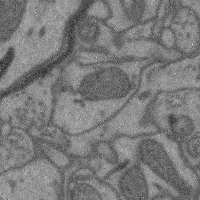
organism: Mouse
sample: Cerebral cortex